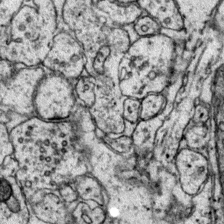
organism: Mouse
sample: Primary visual cortex